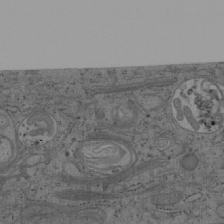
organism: Human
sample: HeLa cells